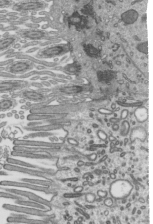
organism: Mouse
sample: Mouse epididymis efferent ductule cilia